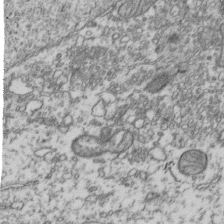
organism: Human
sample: Activated Jurkat CD4+ T cells